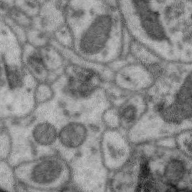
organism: Zebra finch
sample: Brain